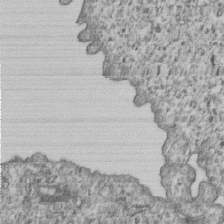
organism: Human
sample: MDA-MB-231 cells